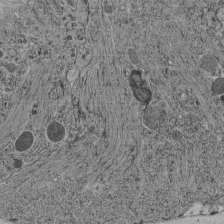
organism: C. elegans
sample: C. elegans pharynx